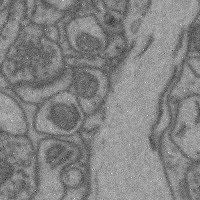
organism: Mouse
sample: Cerebral cortex